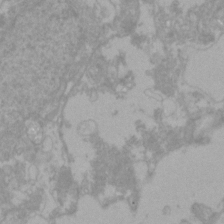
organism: Zebrafish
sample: Zebrafish embryo